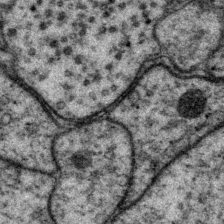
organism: P. pacificus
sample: Pharynx